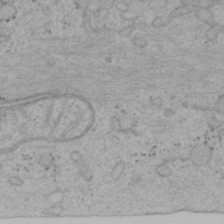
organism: Human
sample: HeLa cells